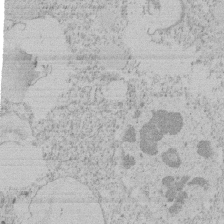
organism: Tetrahymena